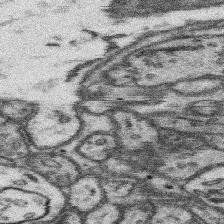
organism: Mouse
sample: Somatosensory cortex neuropil